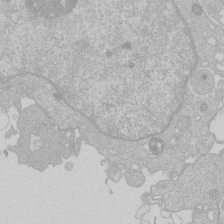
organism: Human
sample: Macrophage cells